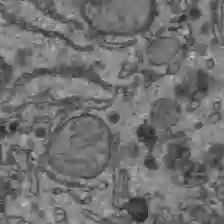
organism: C57BL Mouse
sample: Liver